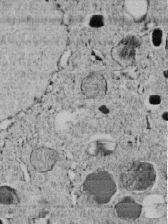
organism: C. elegans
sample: C. elegans embryo early stage